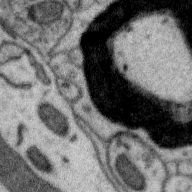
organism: Zebra finch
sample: Brain